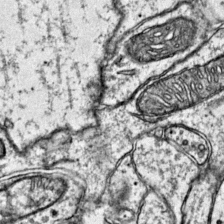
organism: Mouse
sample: Primary visual cortex